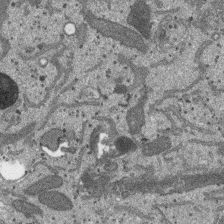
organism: Human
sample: Lung epithelial cells infected with SARS-CoV-2